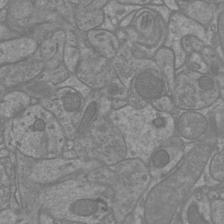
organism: Mouse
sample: Cortical neurons